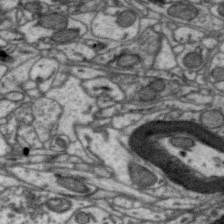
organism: Zebra finch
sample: Brain